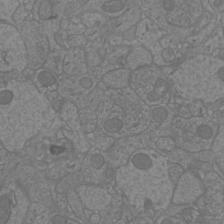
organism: Mouse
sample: Cortical neurons